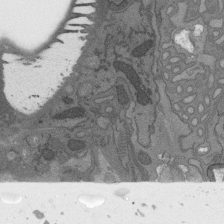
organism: C. elegans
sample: AFD neurons C. elegans